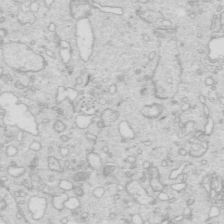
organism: Mouse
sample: Multiciliated cells